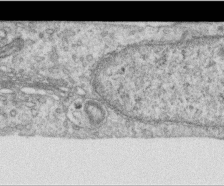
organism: Human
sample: Centriole in RPE cells